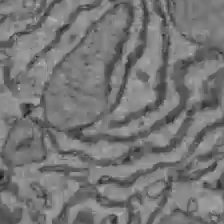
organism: C57BL Mouse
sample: Liver